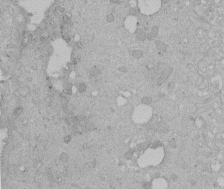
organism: Human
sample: Melanocyte Keratinocyte synapse skin construct